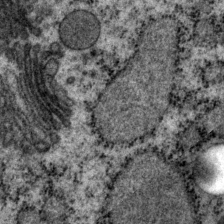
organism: P. pacificus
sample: Pharynx